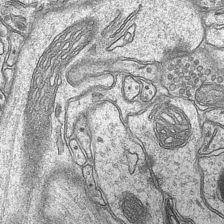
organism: Mouse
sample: CA1 Hippocampus